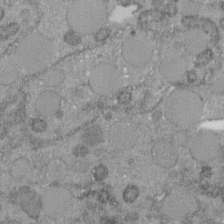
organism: C. elegans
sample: C. elegans embryo early stage